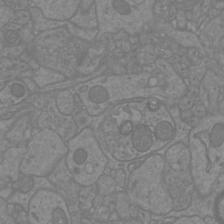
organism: Mouse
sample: Cortical neurons